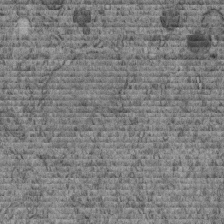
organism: C. elegans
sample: C. elegans embryo early stage